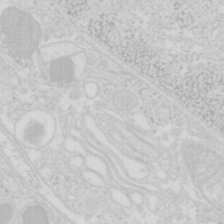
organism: Mouse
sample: Pancreas